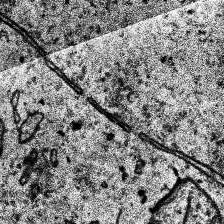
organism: Human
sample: Temporal Lobe